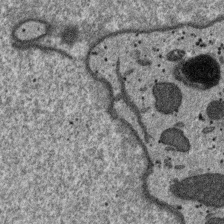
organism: Human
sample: Lung epithelial cells, uninfected (mock) control